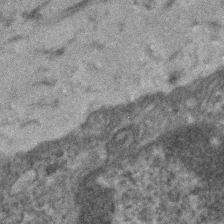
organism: Human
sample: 1205lu cells